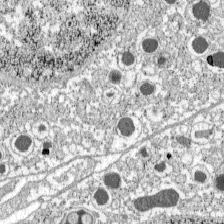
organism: C57BL Mouse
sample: Pancreatic islet